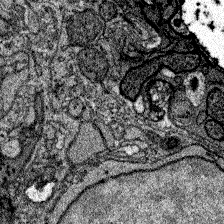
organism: Zebrafish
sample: Larval olfactory bulb